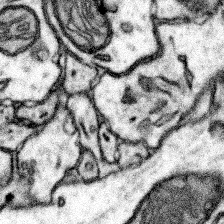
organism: Mouse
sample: Somatosensory cortex neuropil